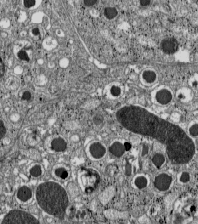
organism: C57BL Mouse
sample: Pancreatic islet